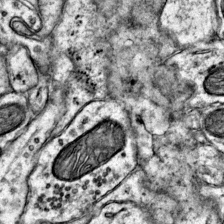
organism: Mouse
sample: Primary visual cortex